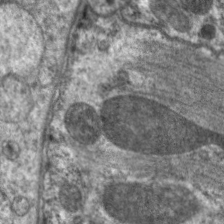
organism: C. elegans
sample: Pharynx